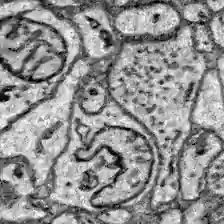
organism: Zebrafish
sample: Brain